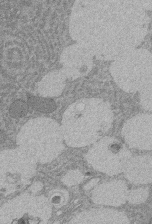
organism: Rat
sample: Salivary granule